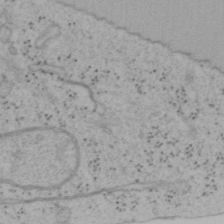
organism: Human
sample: HeLa cells